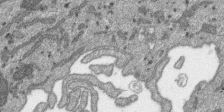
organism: Human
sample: Lung epithelial cells infected with SARS-CoV-2